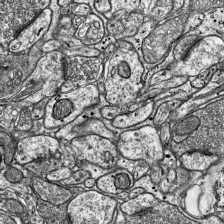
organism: Mouse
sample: Visual Cortex